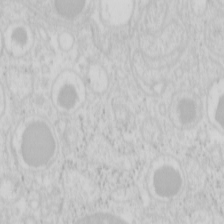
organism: Mouse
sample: Pancreas